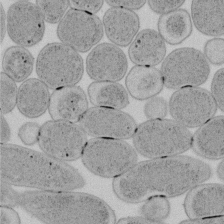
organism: E. coli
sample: Bacterial nucleoid